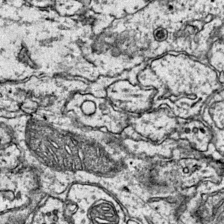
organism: Mouse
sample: Primary visual cortex